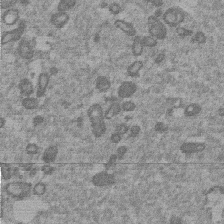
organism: Mouse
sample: Dividing mouse embryo 1 cell stage